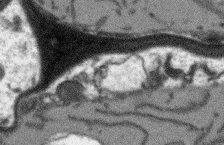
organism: Arabidopsis thaliana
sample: Root tip